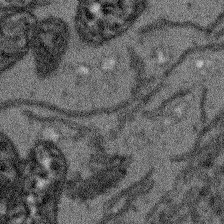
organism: Arabidopsis thaliana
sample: Root tip